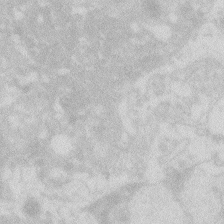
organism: Zebrafish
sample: Macrophage